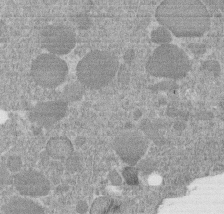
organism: C. elegans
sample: C. elegans embryo early stage